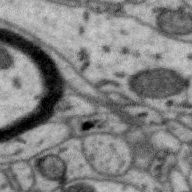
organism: Zebra finch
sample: Brain